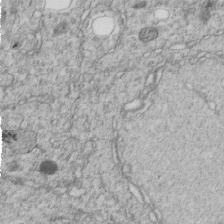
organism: C. elegans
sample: C. elegans embryo early stage